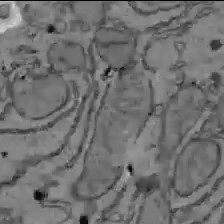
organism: C57BL Mouse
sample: Liver